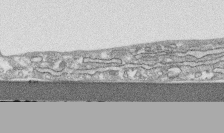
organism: Human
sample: CRL-1474